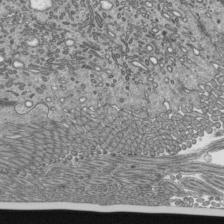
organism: Mouse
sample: Mouse epididymis efferent ductule cilia